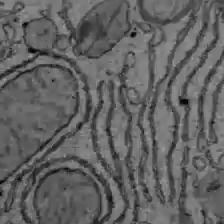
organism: C57BL Mouse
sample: Liver